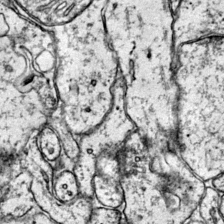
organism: Mouse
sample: Primary visual cortex